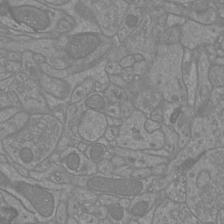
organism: Mouse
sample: Cortical neurons